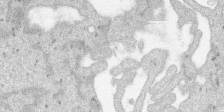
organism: Human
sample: Lung epithelial cells infected with SARS-CoV-2